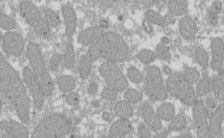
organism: Xenopus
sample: Cilia; centrioles in frog embryo cells